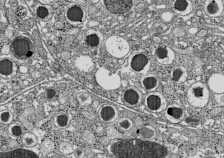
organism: C57BL Mouse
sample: Pancreatic islet